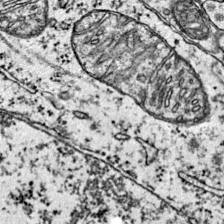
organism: Mouse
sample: Primary visual cortex